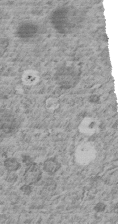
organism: C. elegans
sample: C. elegans embryo early stage